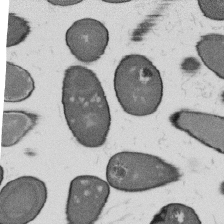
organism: B. subtilis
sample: Bacterial spore